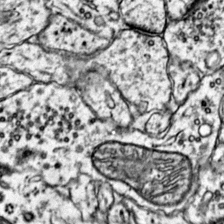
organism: Mouse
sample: Primary visual cortex